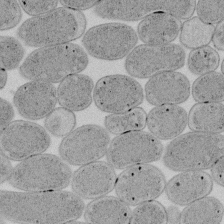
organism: E. coli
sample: Bacterial nucleoid